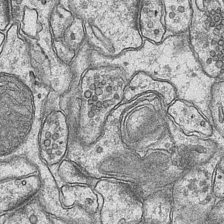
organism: Mouse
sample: CA1 Hippocampus